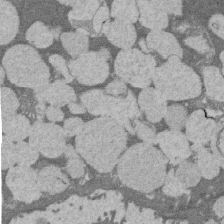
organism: Rat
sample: Salivary granule